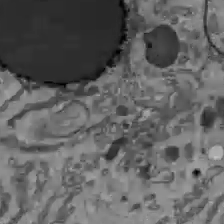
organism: C57BL Mouse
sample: Liver